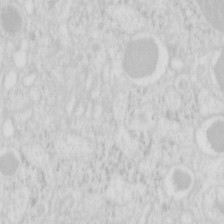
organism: Mouse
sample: Pancreas